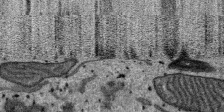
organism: Human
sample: Lung epithelial cells, uninfected (mock) control